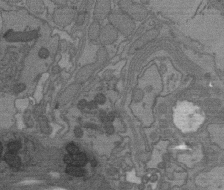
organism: C. elegans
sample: AFD neurons C. elegans